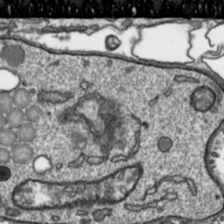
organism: Toxoplasma gondii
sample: Parasites in a vacuole inside a host cell